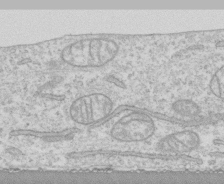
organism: Human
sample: CRL-1474